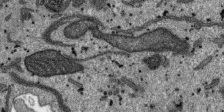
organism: Human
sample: Lung epithelial cells, uninfected (mock) control